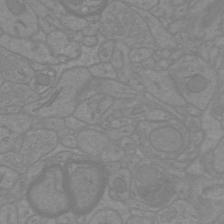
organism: Mouse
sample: Cortical neurons